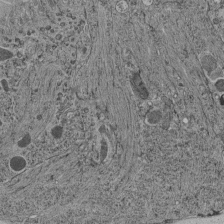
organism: C. elegans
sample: C. elegans pharynx